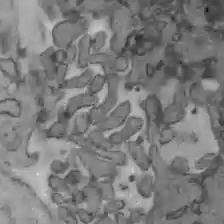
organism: C57BL Mouse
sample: Liver